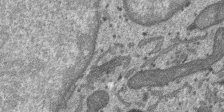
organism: Human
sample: Lung epithelial cells infected with SARS-CoV-2